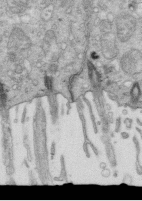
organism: Mouse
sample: Multiciliated cells